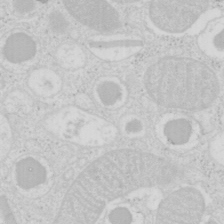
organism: Mouse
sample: Pancreas